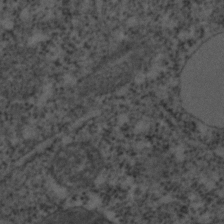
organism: C. elegans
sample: C. elegans embryo